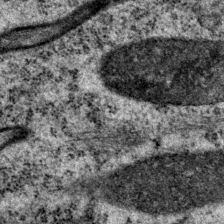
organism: P. pacificus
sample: Pharynx